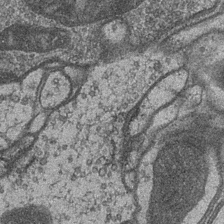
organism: Drosophila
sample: Optic medulla